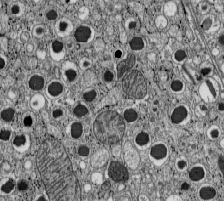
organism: C57BL Mouse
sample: Pancreatic islet